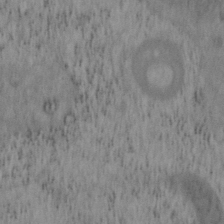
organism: Mouse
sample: OT-I killer T cells with ID8 ovarian cancer cells